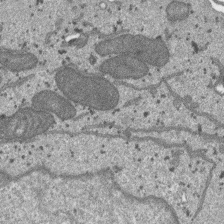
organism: Human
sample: Lung epithelial cells infected with SARS-CoV-2